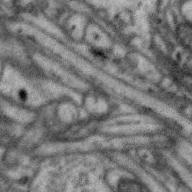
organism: Zebra finch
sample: Brain